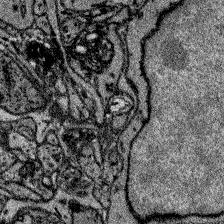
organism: Zebrafish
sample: Larval olfactory bulb